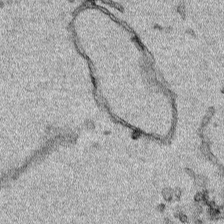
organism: Human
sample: Mitochondria in HCT116 cells